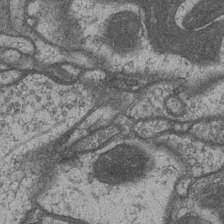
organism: Drosophila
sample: Optic medulla